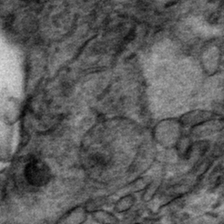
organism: Mouse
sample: Mouse hepatocytes